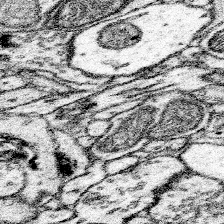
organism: Mouse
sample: Somatosensory cortex neuropil